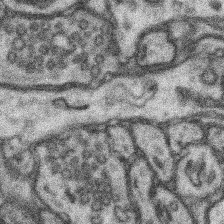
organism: Mouse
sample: Somatosensory cortex neuropil